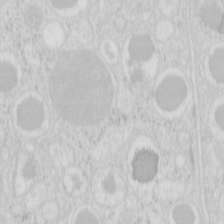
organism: Mouse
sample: Pancreas